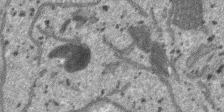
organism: Human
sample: Lung epithelial cells infected with SARS-CoV-2